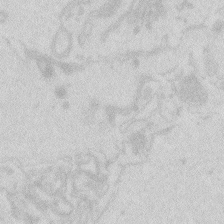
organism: Zebrafish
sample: Macrophage